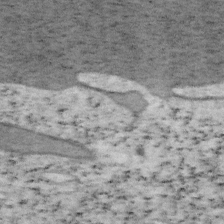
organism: Mouse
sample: OT-I killer T cells with ID8 ovarian cancer cells